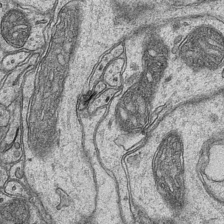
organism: Mouse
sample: CA1 Hippocampus